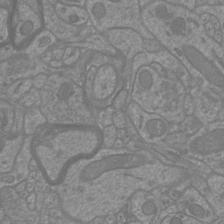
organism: Mouse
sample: Cortical neurons